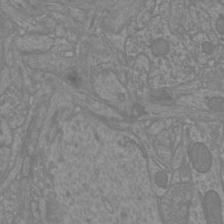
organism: Mouse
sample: Cortical neurons